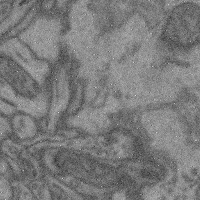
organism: Mouse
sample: Cerebral cortex